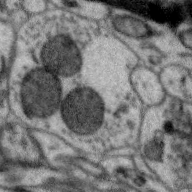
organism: Zebra finch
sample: Brain